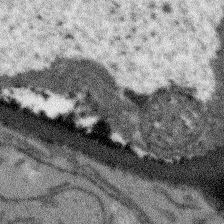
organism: Arabidopsis thaliana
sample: Root tip